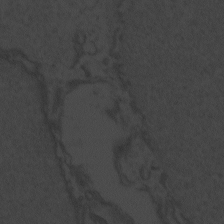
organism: Zebrafish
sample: Macrophage infected with Toxoplasma gondii